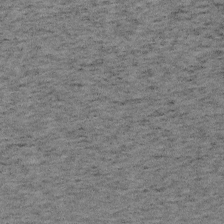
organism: Mouse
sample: OT-I killer T cells with ID8 ovarian cancer cells